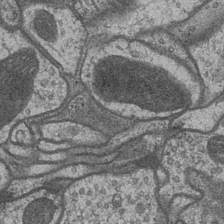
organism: Drosophila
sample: Optic medulla